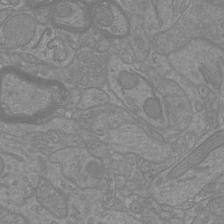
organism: Mouse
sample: Cortical neurons